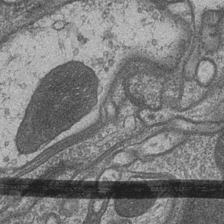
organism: Drosophila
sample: Optic medulla